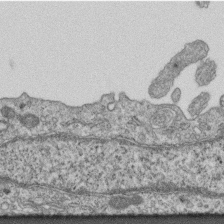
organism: Mouse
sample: Centriole in ependymal cells